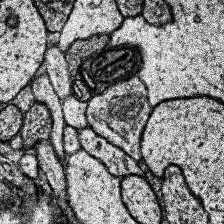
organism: Human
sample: Temporal Lobe